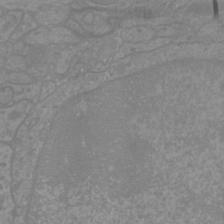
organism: Mouse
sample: Cortical neurons